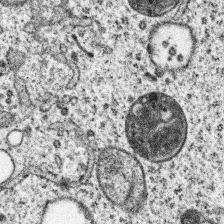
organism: Human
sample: HeLa cells